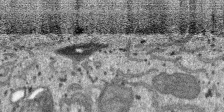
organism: Human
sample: Lung epithelial cells infected with SARS-CoV-2